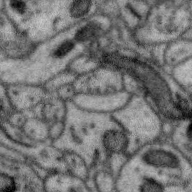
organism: Zebra finch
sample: Brain